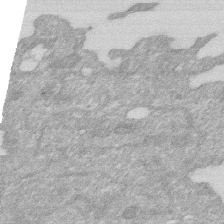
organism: Human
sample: HIV infected U937 cells